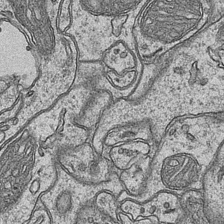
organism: Mouse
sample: CA1 Hippocampus